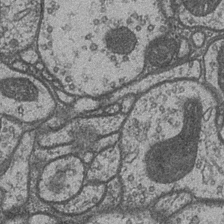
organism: Drosophila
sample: Optic medulla